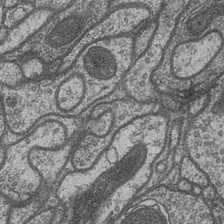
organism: Drosophila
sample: Optic medulla